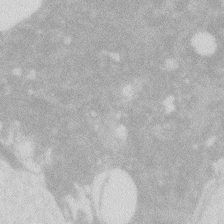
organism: Zebrafish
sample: Macrophage